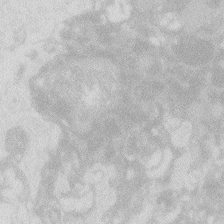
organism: Zebrafish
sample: Macrophage